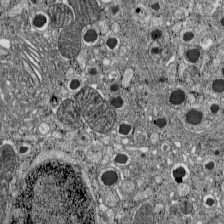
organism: C57BL Mouse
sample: Pancreatic islet